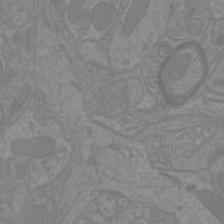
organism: Mouse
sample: Cortical neurons